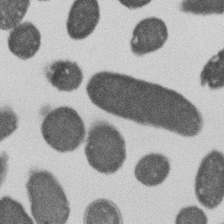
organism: E. coli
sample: Bacterial nucleoid